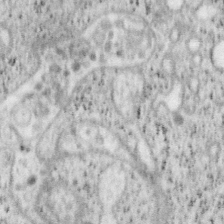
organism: Mouse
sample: OT-I killer T cells with ID8 ovarian cancer cells